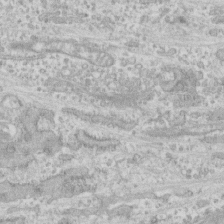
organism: Human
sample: CRL-1474